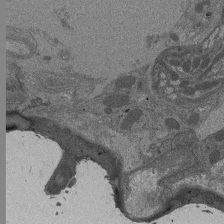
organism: Drosophila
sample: Antenna